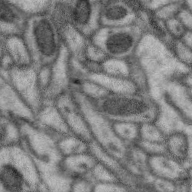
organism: Zebra finch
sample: Brain